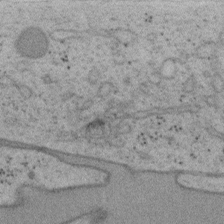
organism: Human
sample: HeLa cells